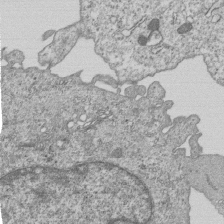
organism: Human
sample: MDA-MB-231 cells